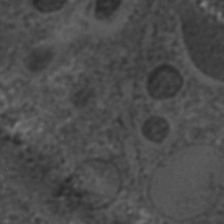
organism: C. elegans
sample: C. elegans embryo